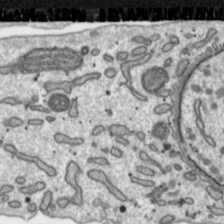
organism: Toxoplasma gondii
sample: Parasites in a vacuole inside a host cell